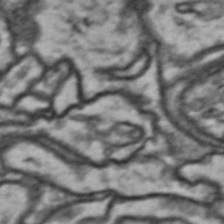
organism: Drosophila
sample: Brain